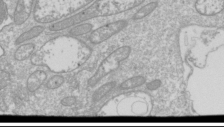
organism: Drosophila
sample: Cell division; meiosis; drosophila spermatocytes